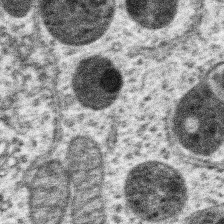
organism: Human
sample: HeLa cells